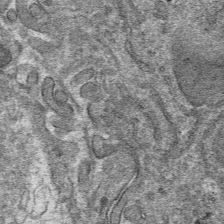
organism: Mouse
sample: Mouse hepatocytes